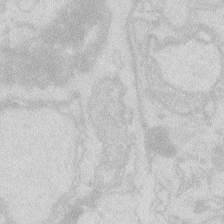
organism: Zebrafish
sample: Macrophage